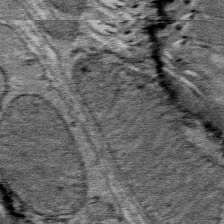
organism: Mouse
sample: Mouse Salivary gland